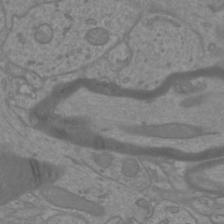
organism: Mouse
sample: Cortical neurons